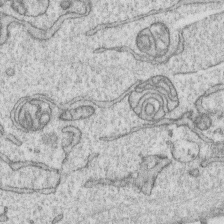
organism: Human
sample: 1205lu cells